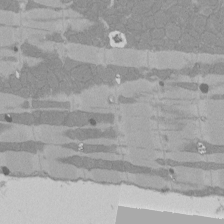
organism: Rat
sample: Left ventricle